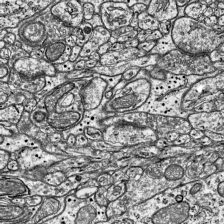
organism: Mouse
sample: Visual Cortex